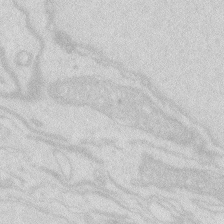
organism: Zebrafish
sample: Macrophage